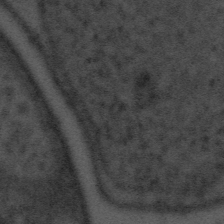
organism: Tuwongella immobilis